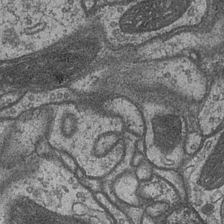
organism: Drosophila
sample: Optic medulla